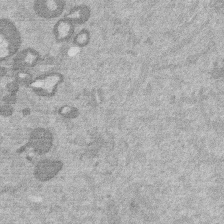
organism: Mouse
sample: Dividing mouse embryo 1 cell stage